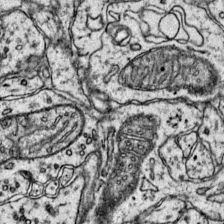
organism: Mouse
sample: Primary visual cortex